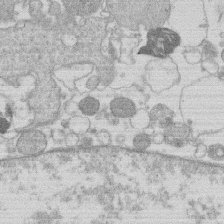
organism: Human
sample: Macrophage cells